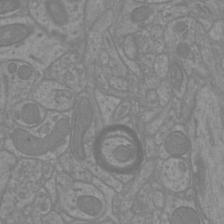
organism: Mouse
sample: Cortical neurons